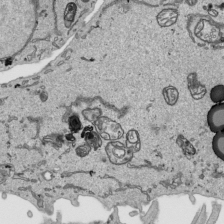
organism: Human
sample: Mitochondria in HCT116 cells